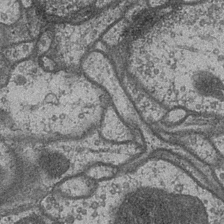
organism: Drosophila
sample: Optic medulla